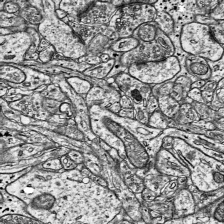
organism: Mouse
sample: Visual Cortex